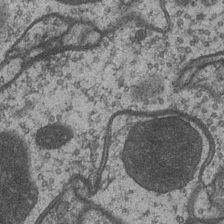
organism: Drosophila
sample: Optic medulla